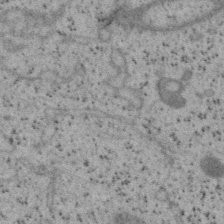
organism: Human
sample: HeLa cells